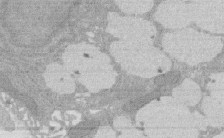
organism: Rat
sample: Salivary granule